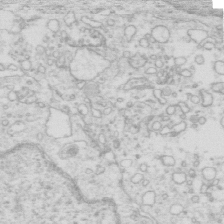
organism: Mouse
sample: Multiciliated cells